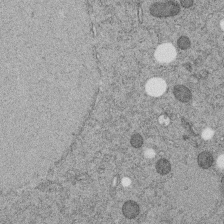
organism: C. elegans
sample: C. elegans embryo early stage